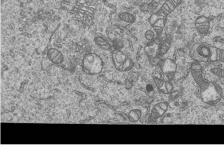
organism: Human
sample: MDA-MB-231 cells